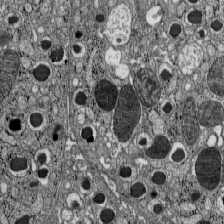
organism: C57BL Mouse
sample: Pancreatic islet